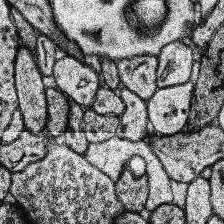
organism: Human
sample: Temporal Lobe